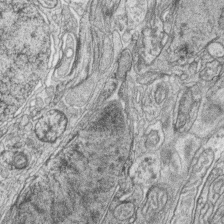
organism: Zebrafish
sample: synaptic ribbons in rod cells and cone cells